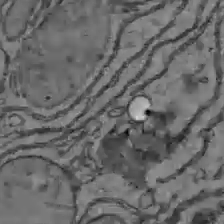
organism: C57BL Mouse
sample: Liver